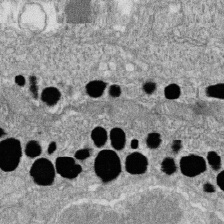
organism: Zebrafish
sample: Cilia; retinal pigment epithelium